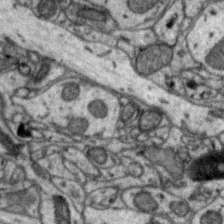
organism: Zebra finch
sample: Brain